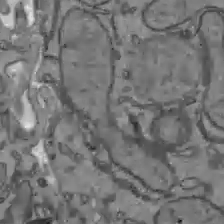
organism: C57BL Mouse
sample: Liver